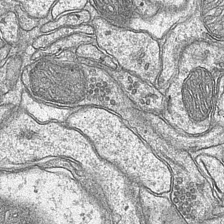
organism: Mouse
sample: CA1 Hippocampus